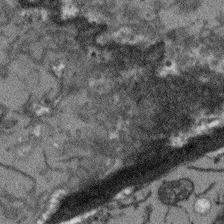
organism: Arabidopsis thaliana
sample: Root tip